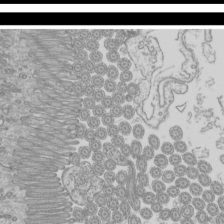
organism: Mouse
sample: Cilia; mouse epididymis